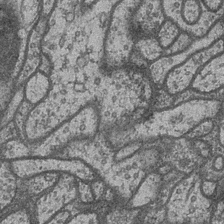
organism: Drosophila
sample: Optic medulla